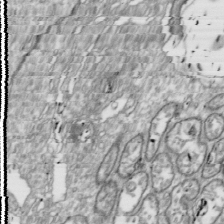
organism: Drosophila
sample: Cell division; meiosis; drosophila spermatocytes